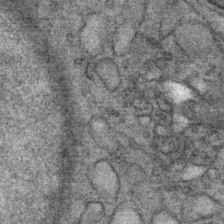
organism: Mouse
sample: Mouse Salivary gland